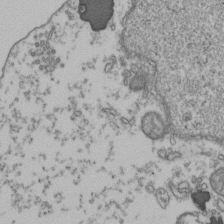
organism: Human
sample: Activated Jurkat CD4+ T cells